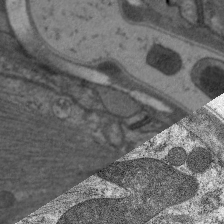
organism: C. elegans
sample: Pharynx